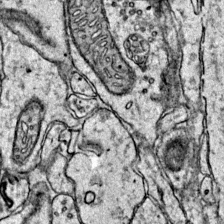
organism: Mouse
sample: Primary visual cortex